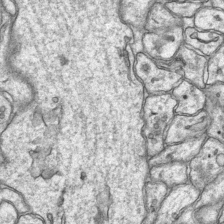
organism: Mouse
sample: CA1 Hippocampus